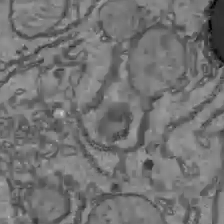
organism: C57BL Mouse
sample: Liver